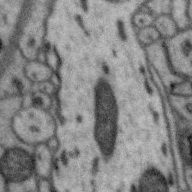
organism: Zebra finch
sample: Brain